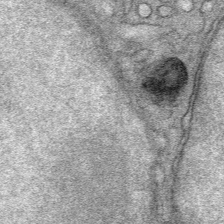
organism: Mouse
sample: Mouse Salivary gland